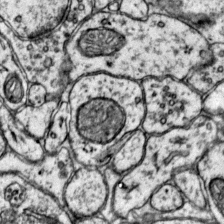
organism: Mouse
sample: Primary visual cortex